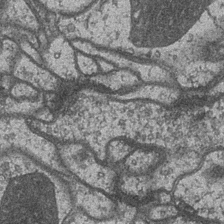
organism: Drosophila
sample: Optic medulla